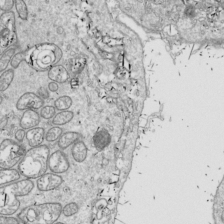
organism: Drosophila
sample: Cell division; meiosis; drosophila spermatocytes